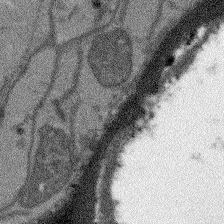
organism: Arabidopsis thaliana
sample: Root tip